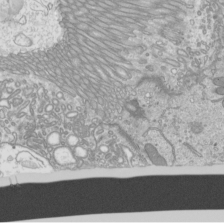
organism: Mouse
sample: Cilia; mouse epididymis